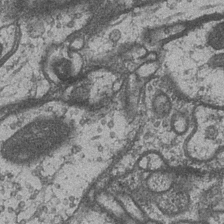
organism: Drosophila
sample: Optic medulla